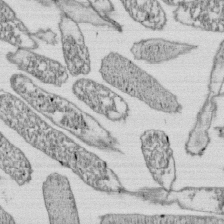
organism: E. coli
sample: Bacterial nucleoid